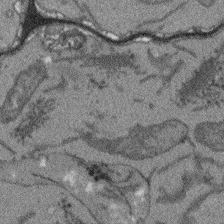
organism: Arabidopsis thaliana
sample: Root tip